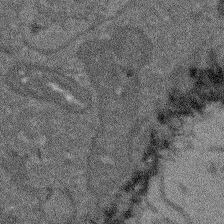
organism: Arabidopsis thaliana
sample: Root tip